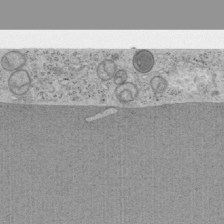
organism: Human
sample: HeLa cells